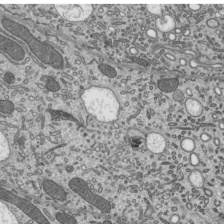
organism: Mouse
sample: Mouse epididymis efferent ductule cilia